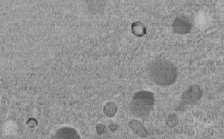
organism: C. elegans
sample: C. elegans embryo early stage